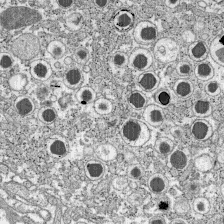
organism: C57BL Mouse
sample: Pancreatic islet